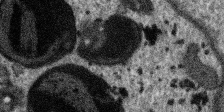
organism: Human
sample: Lung epithelial cells infected with SARS-CoV-2